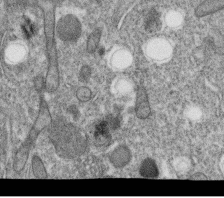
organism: C. elegans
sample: C. elegans oocyte; sperm cells